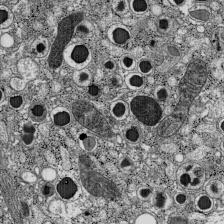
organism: C57BL Mouse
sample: Pancreatic islet